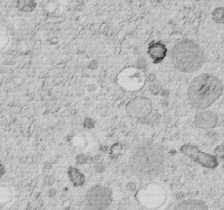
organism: C. elegans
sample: C. elegans embryo early stage